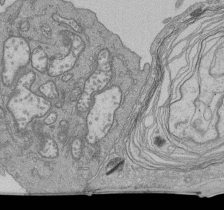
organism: Human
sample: Retinal organoid Rod and Cone cells